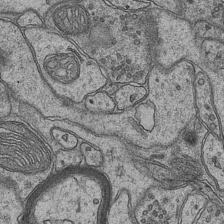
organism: Mouse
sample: CA1 Hippocampus